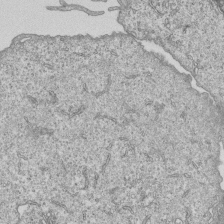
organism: Human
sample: MDA-MB-231 cells